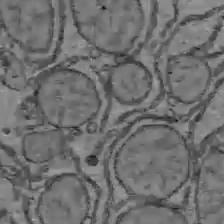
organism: C57BL Mouse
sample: Liver